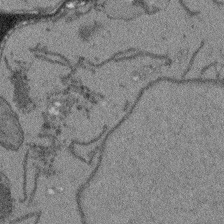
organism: Arabidopsis thaliana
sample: Root tip